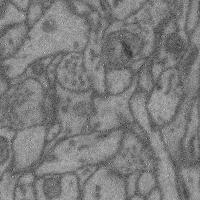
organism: Mouse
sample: Cerebral cortex